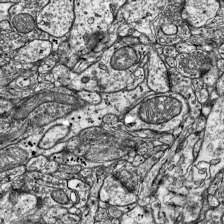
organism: Mouse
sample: Visual Cortex